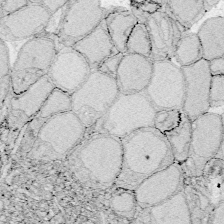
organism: Zebrafish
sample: Whole-Brain